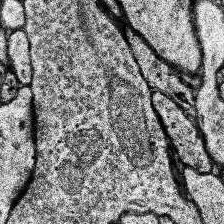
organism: Human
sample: Temporal Lobe